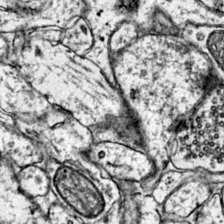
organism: Mouse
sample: Primary visual cortex